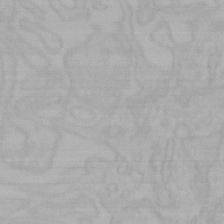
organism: Mouse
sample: Choroid plexus